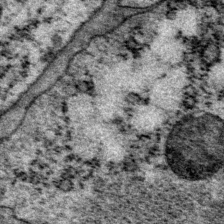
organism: P. pacificus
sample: Pharynx